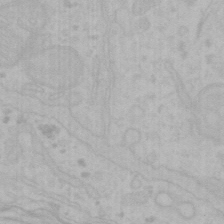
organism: Mouse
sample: Choroid plexus